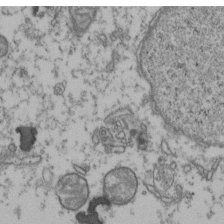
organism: Human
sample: Activated Jurkat CD4+ T cells